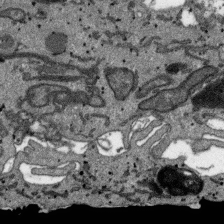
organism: Human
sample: Lung epithelial cells, uninfected (mock) control